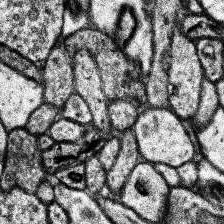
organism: Human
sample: Temporal Lobe